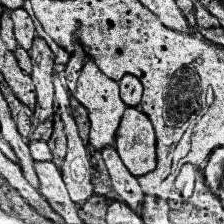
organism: Human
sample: Temporal Lobe